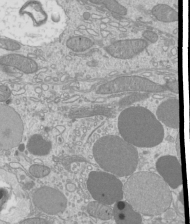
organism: Mouse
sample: Cilia; mouse epididymis